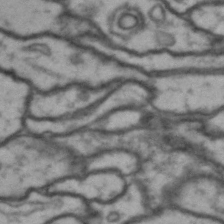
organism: Drosophila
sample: Brain